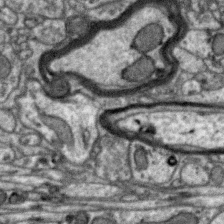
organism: Zebra finch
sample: Brain